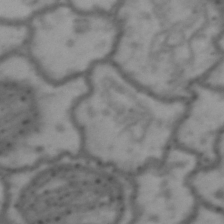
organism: Drosophila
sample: Brain